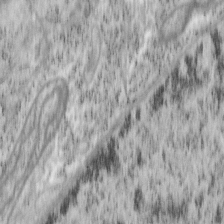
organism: Human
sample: HeLa cells